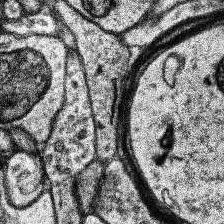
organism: Human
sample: Temporal Lobe